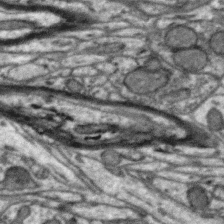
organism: Zebra finch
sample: Brain